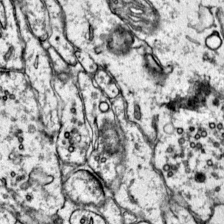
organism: Mouse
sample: Primary visual cortex